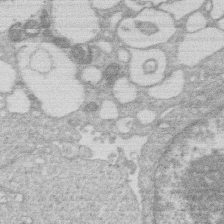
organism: Human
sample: Macrophage cells